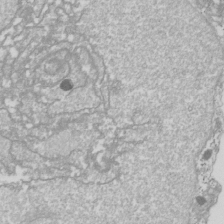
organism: Drosophila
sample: Cell division; meiosis; drosophila spermatocytes